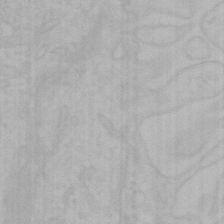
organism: Mouse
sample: Choroid plexus